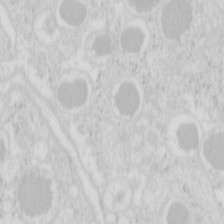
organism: Mouse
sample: Pancreas